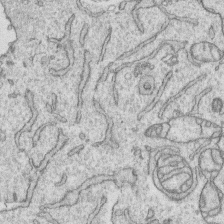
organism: Human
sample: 1205lu cells